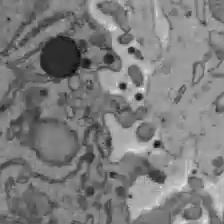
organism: C57BL Mouse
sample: Liver